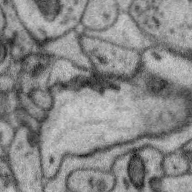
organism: Zebra finch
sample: Brain